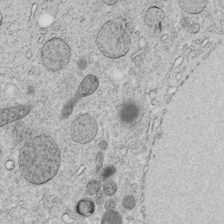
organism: C. elegans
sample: C. elegans embryo early stage